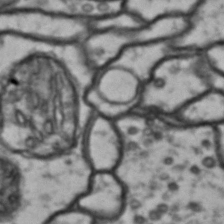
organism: Drosophila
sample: Brain